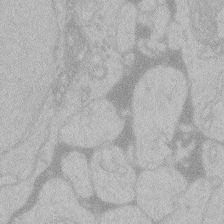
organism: Zebrafish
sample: Macrophage infected with Toxoplasma gondii